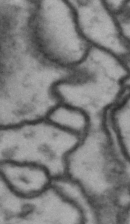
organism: Drosophila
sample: Brain